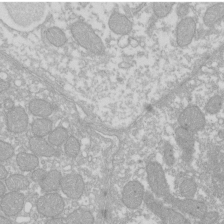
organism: Xenopus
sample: Cilia; centrioles in frog embryo cells